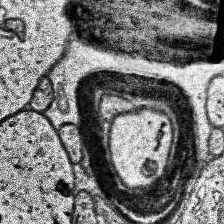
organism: Human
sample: Temporal Lobe